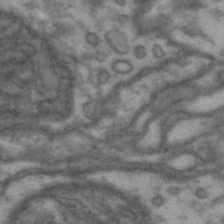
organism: Drosophila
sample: Brain